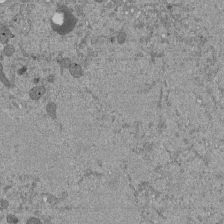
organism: Mouse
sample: ED-1 cell nuclei; centrioles